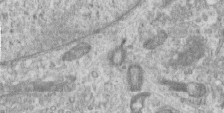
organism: Human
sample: Centriole in RPE cells